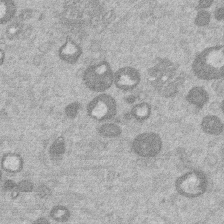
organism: Mouse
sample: Dividing mouse embryo 1 cell stage